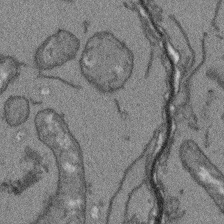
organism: Arabidopsis thaliana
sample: Root tip